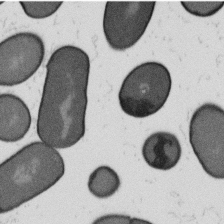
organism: B. subtilis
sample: Bacterial spore